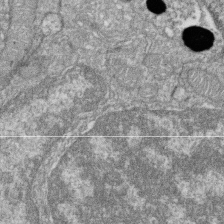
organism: Zebrafish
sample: Cilia; retinal pigment epithelium